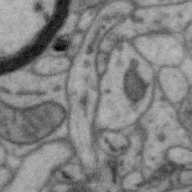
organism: Zebra finch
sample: Brain